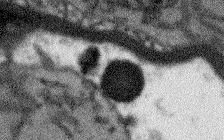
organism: Arabidopsis thaliana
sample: Root tip